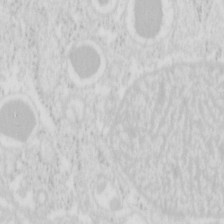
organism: Mouse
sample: Pancreas